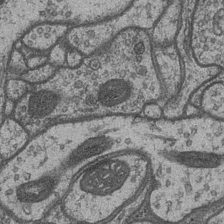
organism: Drosophila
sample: Optic medulla